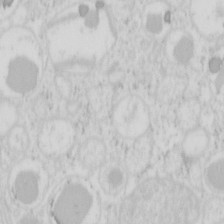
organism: Mouse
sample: Pancreas